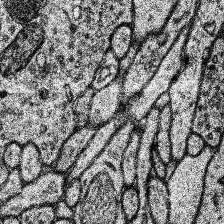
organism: Human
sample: Temporal Lobe